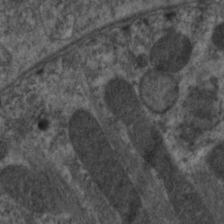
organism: C. elegans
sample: Pharynx